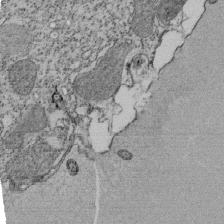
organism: Tetrahymena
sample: Cilia in tetrahymena